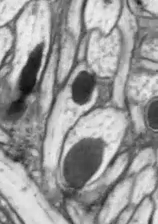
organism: Drosophila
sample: Optic lobe